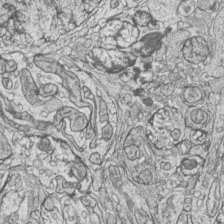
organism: Zebrafish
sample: synaptic ribbons in rod cells and cone cells